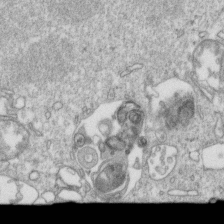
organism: Mouse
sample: Activated OT-1 CD8+ T cells